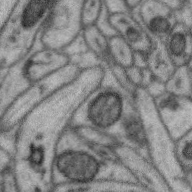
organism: Zebra finch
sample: Brain